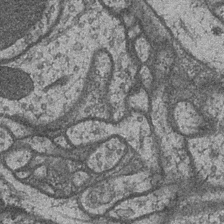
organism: Drosophila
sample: Optic medulla